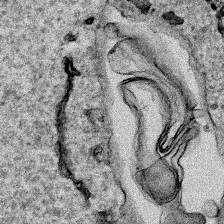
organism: Human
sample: Mitochondria in HCT116 cells